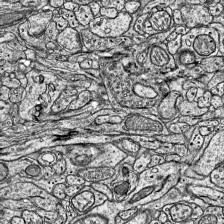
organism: Mouse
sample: Visual Cortex